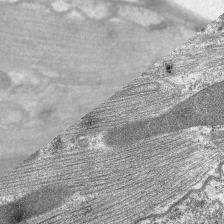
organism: C. elegans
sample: Pharynx